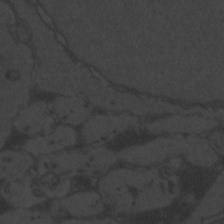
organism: Zebrafish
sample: Macrophage infected with Toxoplasma gondii